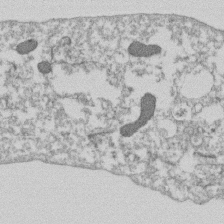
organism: Dictyostelium discoideum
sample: Dictyostelium multivesicular bodies